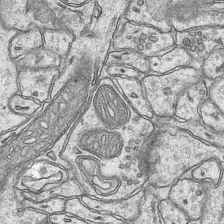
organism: Mouse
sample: CA1 Hippocampus